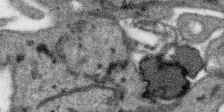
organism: Human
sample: Lung epithelial cells infected with SARS-CoV-2